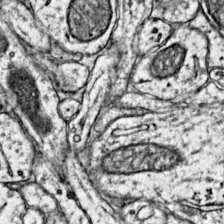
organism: Mouse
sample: Primary visual cortex